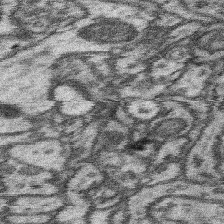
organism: Mouse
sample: Somatosensory cortex neuropil